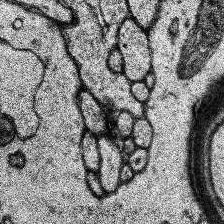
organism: Human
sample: Temporal Lobe